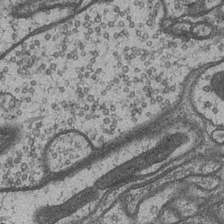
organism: Drosophila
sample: Optic medulla